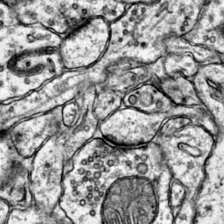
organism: Mouse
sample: Primary visual cortex